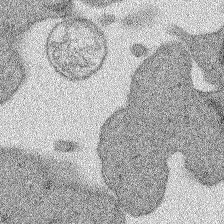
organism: Human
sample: HeLa cells